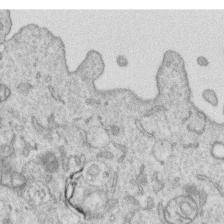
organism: Human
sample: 1205lu cells